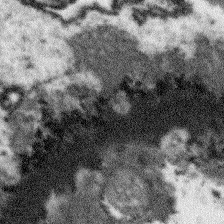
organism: Arabidopsis thaliana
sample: Root tip